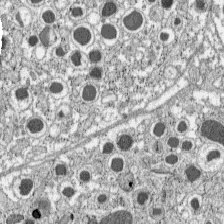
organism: C57BL Mouse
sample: Pancreatic islet